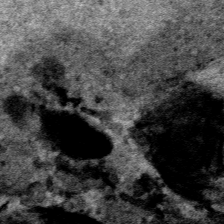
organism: Human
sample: Mitochondria in HCT116 cells